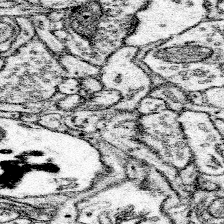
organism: Mouse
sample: Somatosensory cortex neuropil